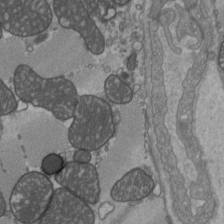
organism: C57BL Mouse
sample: Heart